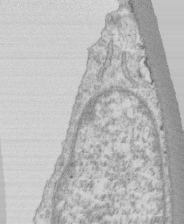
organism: Human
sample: CRL-1474